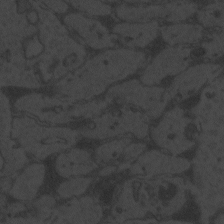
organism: Zebrafish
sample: Macrophage infected with Toxoplasma gondii